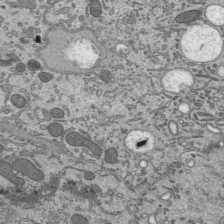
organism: Mouse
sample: Mouse epididymis efferent ductule cilia